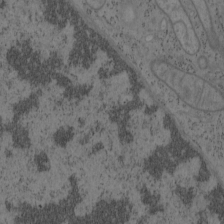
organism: Mouse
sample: OT-I killer T cells with ID8 ovarian cancer cells